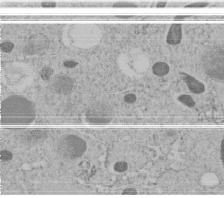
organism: C. elegans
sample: C. elegans embryo early stage